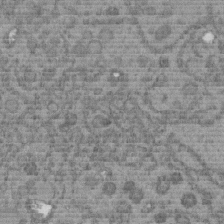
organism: C. elegans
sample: C. elegans embryo early stage